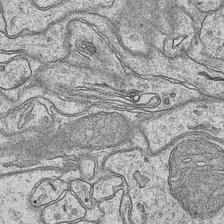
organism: Mouse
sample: CA1 Hippocampus